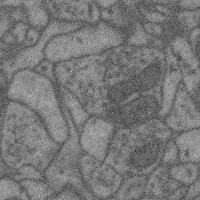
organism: Mouse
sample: Cerebral cortex